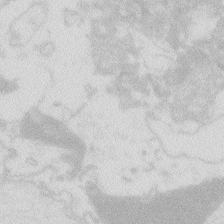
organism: Zebrafish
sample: Macrophage